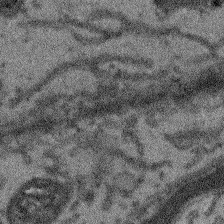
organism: Arabidopsis thaliana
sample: Root tip